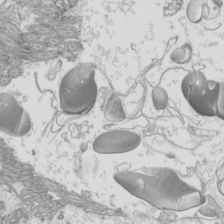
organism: Mouse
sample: Cilia; mouse epididymis